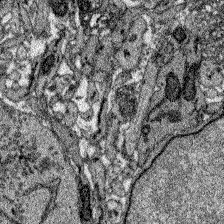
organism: Zebrafish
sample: Larval olfactory bulb